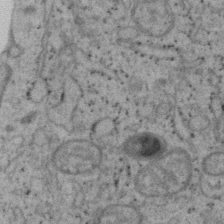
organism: Human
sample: HeLa cells